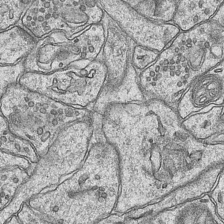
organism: Mouse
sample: CA1 Hippocampus